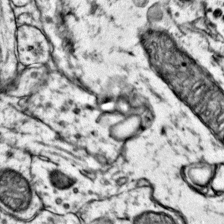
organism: Mouse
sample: Primary visual cortex